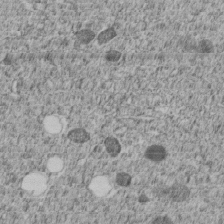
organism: C. elegans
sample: C. elegans embryo early stage